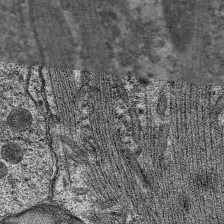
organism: C. elegans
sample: Pharynx